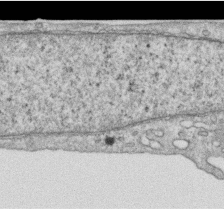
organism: Human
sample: Centriole in RPE cells